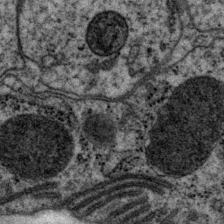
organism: P. pacificus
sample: Pharynx